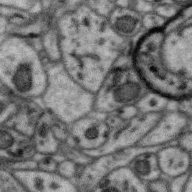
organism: Zebra finch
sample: Brain